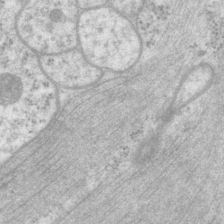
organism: P. pacificus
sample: Pharynx